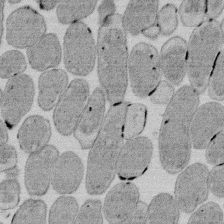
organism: E. coli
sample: Bacterial nucleoid